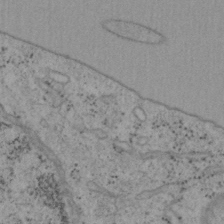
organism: Human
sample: HeLa cells